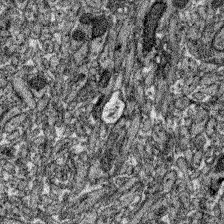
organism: Zebrafish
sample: Larval olfactory bulb